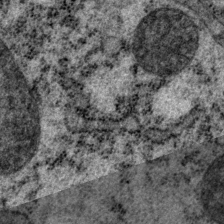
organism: P. pacificus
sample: Pharynx